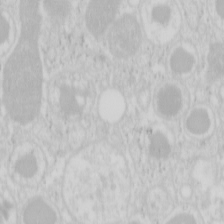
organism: Mouse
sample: Pancreas